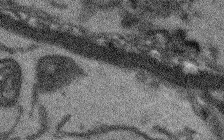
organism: Arabidopsis thaliana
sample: Root tip